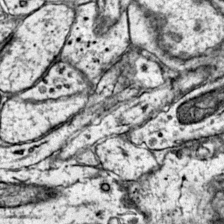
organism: Mouse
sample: Primary visual cortex